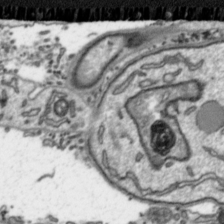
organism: Toxoplasma gondii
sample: Parasites in a vacuole inside a host cell